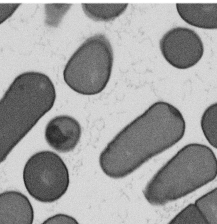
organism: B. subtilis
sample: Bacterial spore